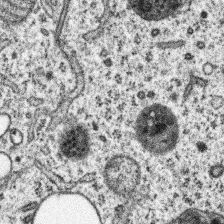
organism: Human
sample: HeLa cells